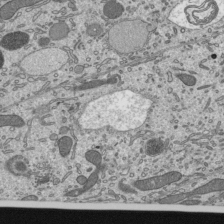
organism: Mouse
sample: Mouse epididymis efferent ductule cilia